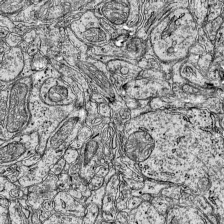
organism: Mouse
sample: Visual Cortex